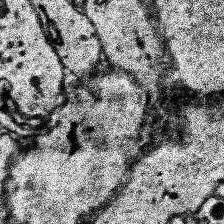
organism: Human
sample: Temporal Lobe